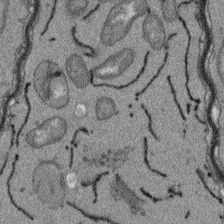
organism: Arabidopsis thaliana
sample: Root tip